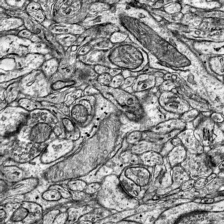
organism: Mouse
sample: Visual Cortex